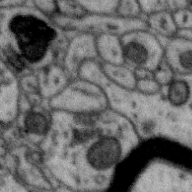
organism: Zebra finch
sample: Brain